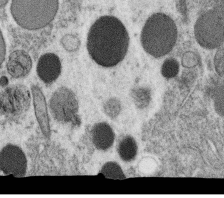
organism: C. elegans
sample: C. elegans oocyte; sperm cells